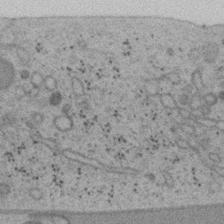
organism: Human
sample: HeLa cells